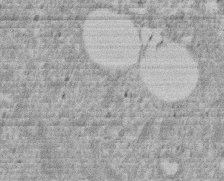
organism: Mouse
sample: Dividing mouse embryo 1 cell stage